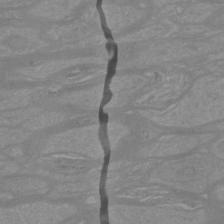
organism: Mouse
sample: Cortical neurons